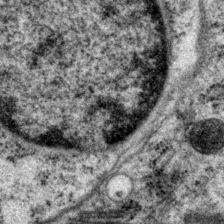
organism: P. pacificus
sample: Pharynx